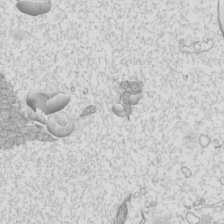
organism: Mouse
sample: Cilia; mouse epididymis